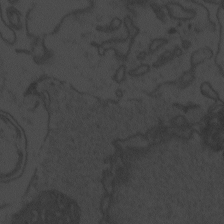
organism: Zebrafish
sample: Macrophage infected with Toxoplasma gondii